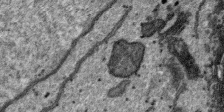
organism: Human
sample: Lung epithelial cells, uninfected (mock) control